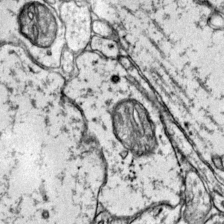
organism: Mouse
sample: Primary visual cortex